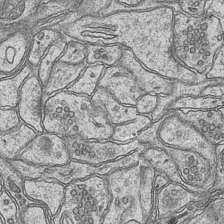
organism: Mouse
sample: CA1 Hippocampus